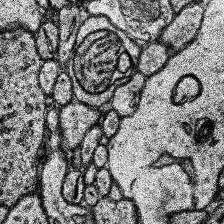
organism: Human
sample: Temporal Lobe